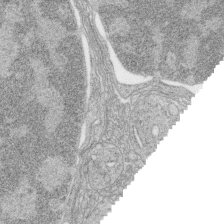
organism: Zebrafish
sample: synaptic ribbons in rod cells and cone cells